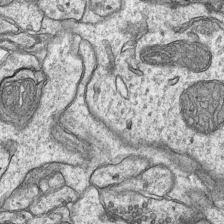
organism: Mouse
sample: CA1 Hippocampus